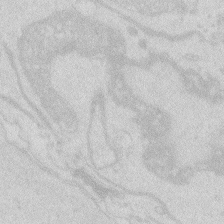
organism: Zebrafish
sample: Macrophage